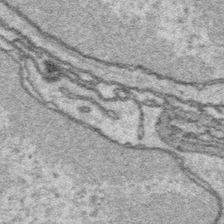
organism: Platynereis dumerilii